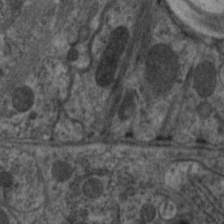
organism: C. elegans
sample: Pharynx